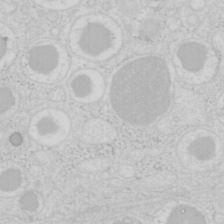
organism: Mouse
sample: Pancreas